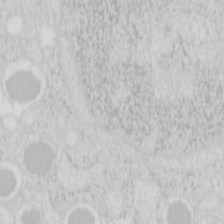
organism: Mouse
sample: Pancreas